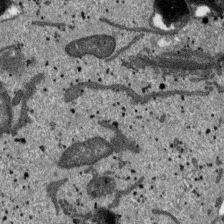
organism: Human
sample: Lung epithelial cells, uninfected (mock) control